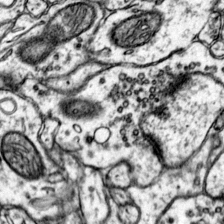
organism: Mouse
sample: Primary visual cortex